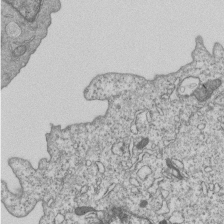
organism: Human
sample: MDA-MB-231 cells